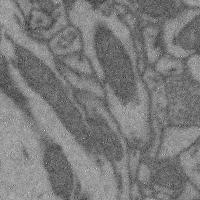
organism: Mouse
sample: Cerebral cortex